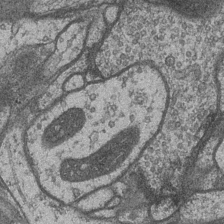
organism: Drosophila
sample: Optic medulla